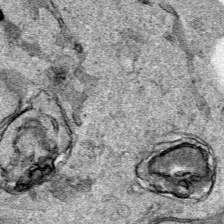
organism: Human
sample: Mitochondria in HCT116 cells